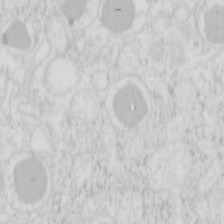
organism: Mouse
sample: Pancreas